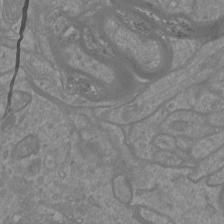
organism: Mouse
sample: Cortical neurons